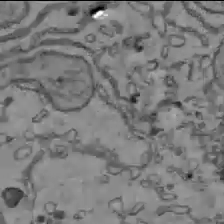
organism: C57BL Mouse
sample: Liver